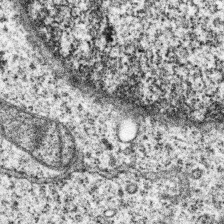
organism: Human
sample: HeLa cells